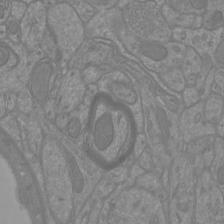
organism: Mouse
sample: Cortical neurons